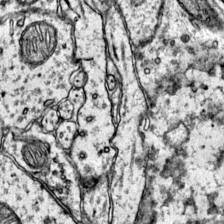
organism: Mouse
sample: Primary visual cortex